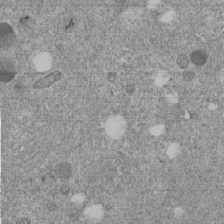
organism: C. elegans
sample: C. elegans embryo early stage